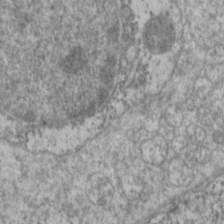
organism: C. elegans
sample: Pharynx